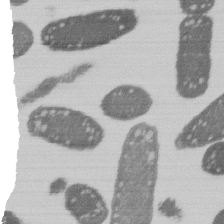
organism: E. coli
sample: Bacterial nucleoid